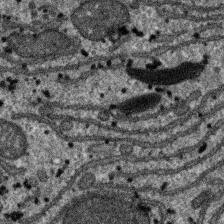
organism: Human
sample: Lung epithelial cells infected with SARS-CoV-2